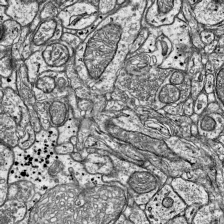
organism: Mouse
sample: Visual Cortex